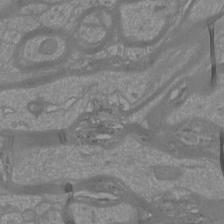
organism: Mouse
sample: Cortical neurons